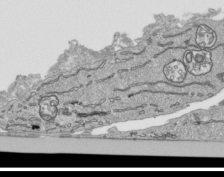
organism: Human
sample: Mitochondria in HCT116 cells